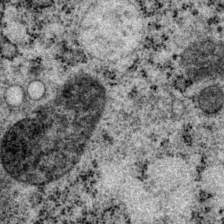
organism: P. pacificus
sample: Pharynx